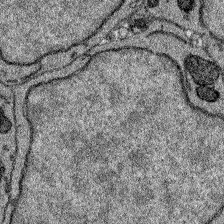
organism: Zebrafish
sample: Larval olfactory bulb